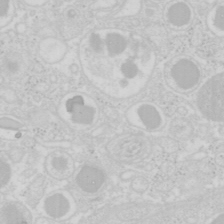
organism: Mouse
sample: Pancreas